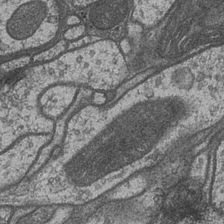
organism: Drosophila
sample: Optic medulla